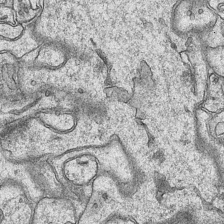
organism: Mouse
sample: CA1 Hippocampus